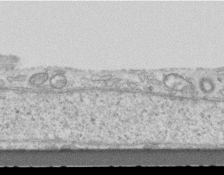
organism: Mouse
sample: Centriole in ependymal cells